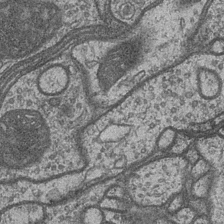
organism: Drosophila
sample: Optic medulla